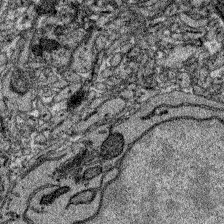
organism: Zebrafish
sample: Larval olfactory bulb